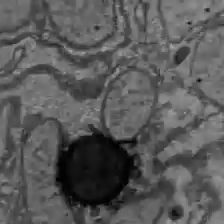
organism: C57BL Mouse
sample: Liver